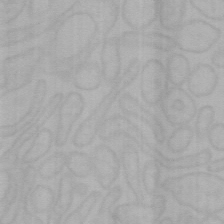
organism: Mouse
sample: Choroid plexus